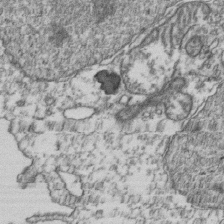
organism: Human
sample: Activated Jurkat CD4+ T cells